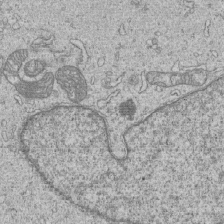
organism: Human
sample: MDA-MB-231 cells